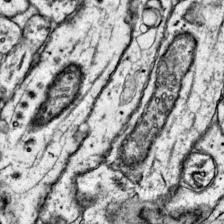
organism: Mouse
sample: Primary visual cortex